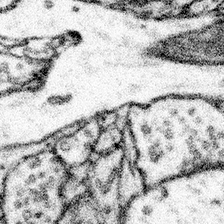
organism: Mouse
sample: Somatosensory cortex neuropil